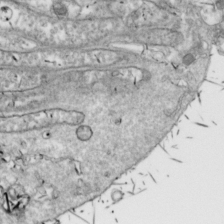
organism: Drosophila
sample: Cell division; meiosis; drosophila spermatocytes